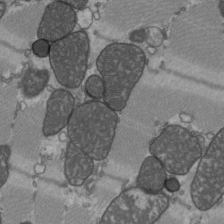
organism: C57BL Mouse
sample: Heart